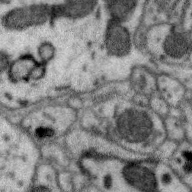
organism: Zebra finch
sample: Brain